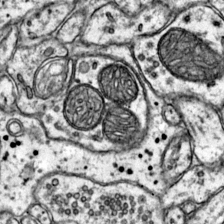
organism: Mouse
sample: Primary visual cortex